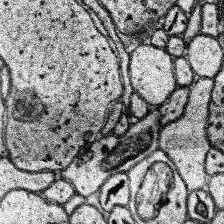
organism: Human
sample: Temporal Lobe